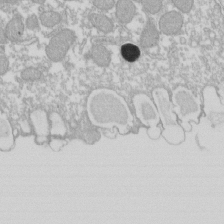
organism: Xenopus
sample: Cilia; centrioles in frog embryo cells